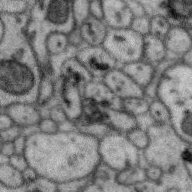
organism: Zebra finch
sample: Brain